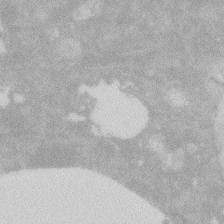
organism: Zebrafish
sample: Macrophage